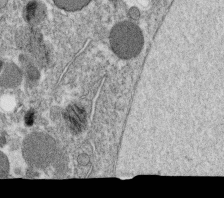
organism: C. elegans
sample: C. elegans oocyte; sperm cells